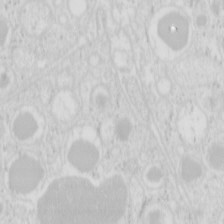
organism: Mouse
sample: Pancreas